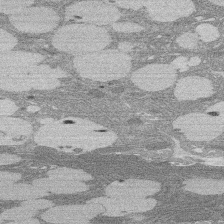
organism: Rat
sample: Salivary granule